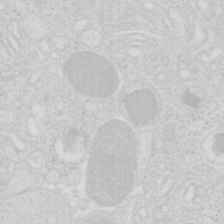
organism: Mouse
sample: Pancreas